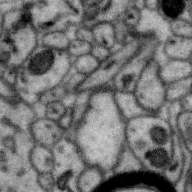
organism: Zebra finch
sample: Brain